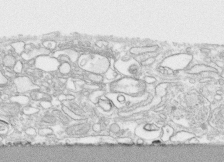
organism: Human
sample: CRL-1474